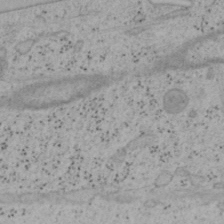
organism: Human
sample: HeLa cells